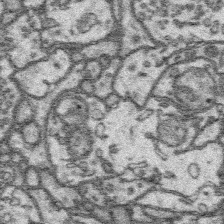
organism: Platynereis dumerilii